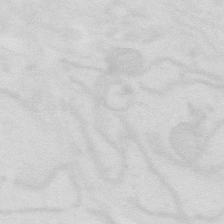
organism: Human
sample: HeLa cells